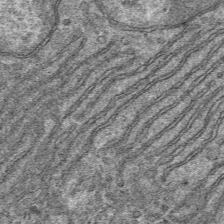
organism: Mouse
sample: Mouse hepatocytes